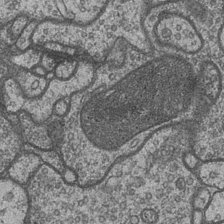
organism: Drosophila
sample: Optic medulla